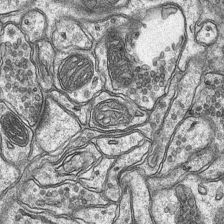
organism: Mouse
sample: CA1 Hippocampus